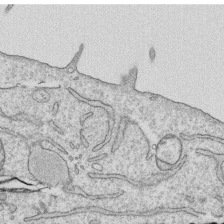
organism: Human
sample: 1205lu cells